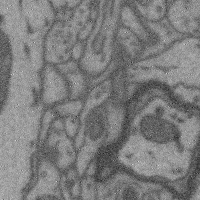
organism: Mouse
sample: Cerebral cortex